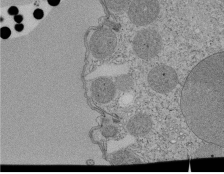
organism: Tetrahymena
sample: Cilia in tetrahymena